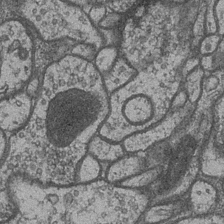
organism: Drosophila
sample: Optic medulla